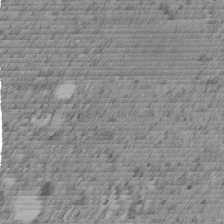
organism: C. elegans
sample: C. elegans embryo early stage